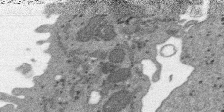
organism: Human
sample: Lung epithelial cells infected with SARS-CoV-2